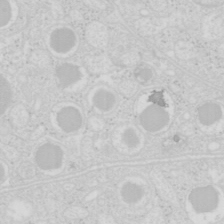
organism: Mouse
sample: Pancreas